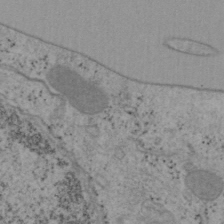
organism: Human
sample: HeLa cells